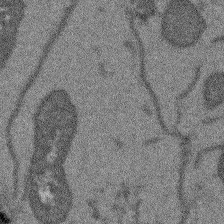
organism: Arabidopsis thaliana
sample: Root tip